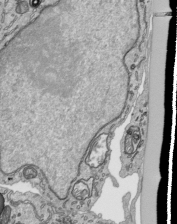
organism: Human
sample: Mitochondria in HCT116 cells